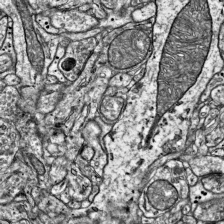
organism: Mouse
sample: Visual Cortex